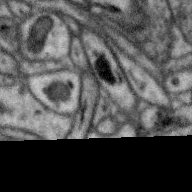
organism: Zebra finch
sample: Brain